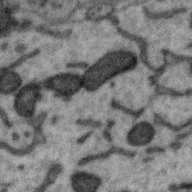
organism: Zebra finch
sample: Brain